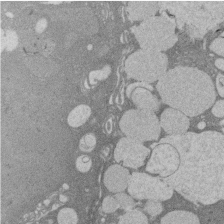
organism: Rat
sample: Salivary granule